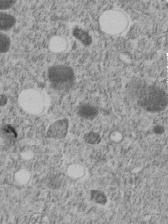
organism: C. elegans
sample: C. elegans embryo early stage